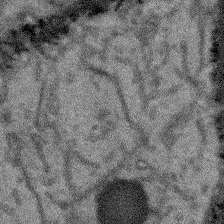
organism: Arabidopsis thaliana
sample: Root tip